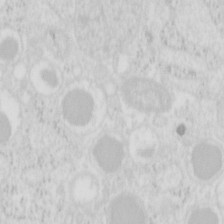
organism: Mouse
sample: Pancreas